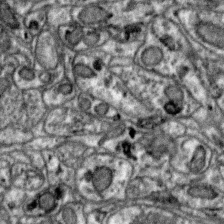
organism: Zebra finch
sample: Brain